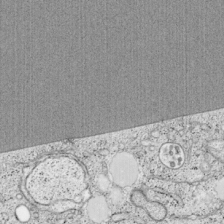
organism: African green monkey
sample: COS-7 cells